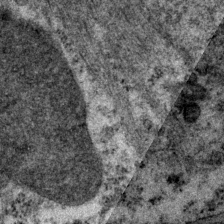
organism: P. pacificus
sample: Pharynx